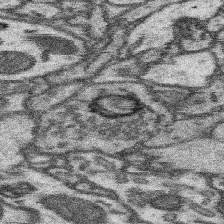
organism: Mouse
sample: Somatosensory cortex neuropil